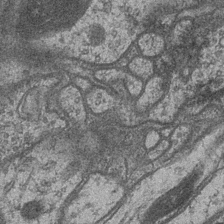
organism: Drosophila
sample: Optic medulla